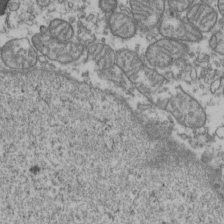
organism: Human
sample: Activated Jurkat CD4+ T cells